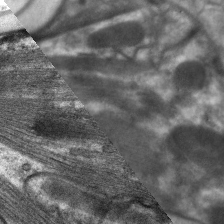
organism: C. elegans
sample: Pharynx